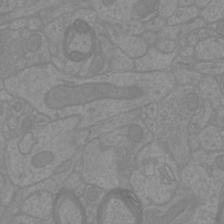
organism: Mouse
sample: Cortical neurons